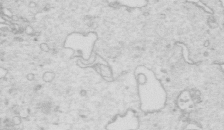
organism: Mouse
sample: Multiciliated cells